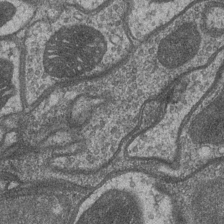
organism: Drosophila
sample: Optic medulla